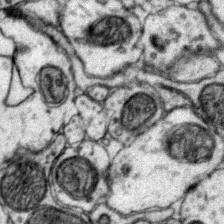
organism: Mouse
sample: Primary visual cortex